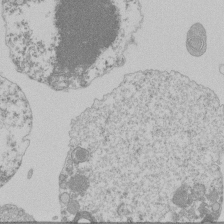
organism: Mouse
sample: Activated Pmel transgenic CD8+ T Cells